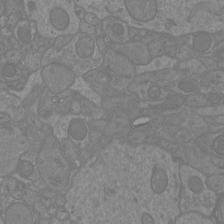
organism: Mouse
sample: Cortical neurons